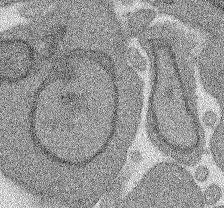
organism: Human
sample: HeLa cells